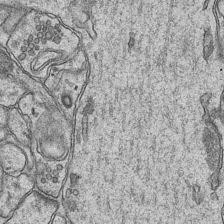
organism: Mouse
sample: CA1 Hippocampus